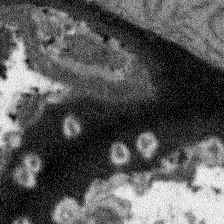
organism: Arabidopsis thaliana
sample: Root tip